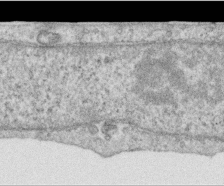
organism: Human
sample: Centriole in RPE cells